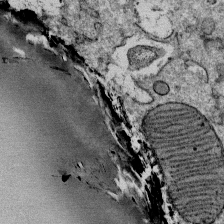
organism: Mouse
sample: Mouse Salivary gland